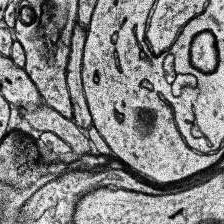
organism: Human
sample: Temporal Lobe